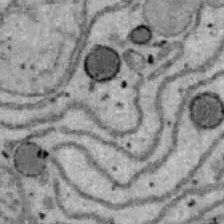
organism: Mouse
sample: Liver from an obese (ob/ob) mouse